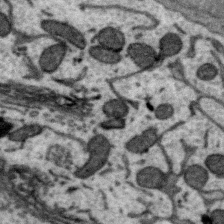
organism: Zebra finch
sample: Brain